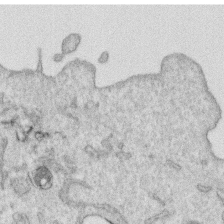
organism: Human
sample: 1205lu cells